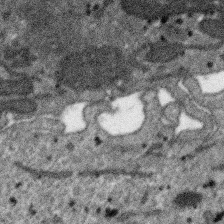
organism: Human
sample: Lung epithelial cells infected with SARS-CoV-2